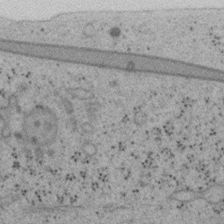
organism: Human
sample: HeLa cells